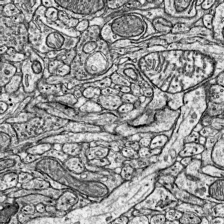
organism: Mouse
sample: Visual Cortex